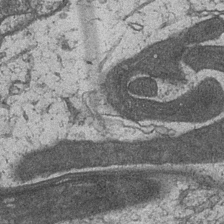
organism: Drosophila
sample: Optic medulla